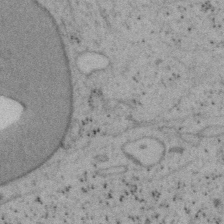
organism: Human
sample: HeLa cells